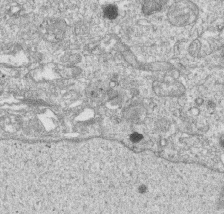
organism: Human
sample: HeLa cell HIV synapse